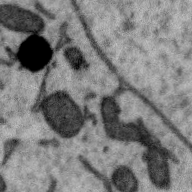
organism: Zebra finch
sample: Brain